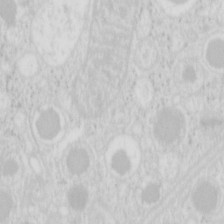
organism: Mouse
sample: Pancreas